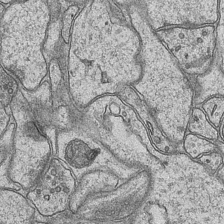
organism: Mouse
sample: CA1 Hippocampus